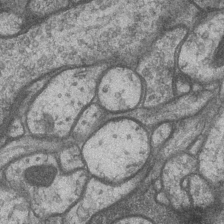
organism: Drosophila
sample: Optic medulla